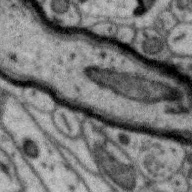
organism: Zebra finch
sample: Brain